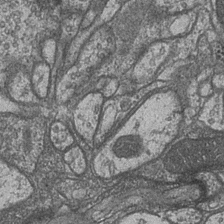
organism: Drosophila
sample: Optic medulla